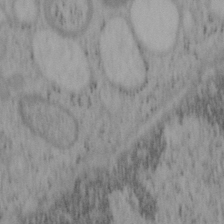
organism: Mouse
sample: OT-I killer T cells with ID8 ovarian cancer cells